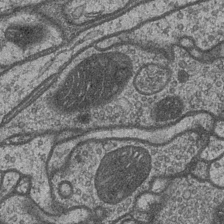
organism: Drosophila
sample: Optic medulla